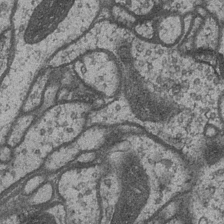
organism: Drosophila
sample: Optic medulla